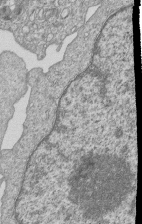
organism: Human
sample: MDA-MB-231 cells